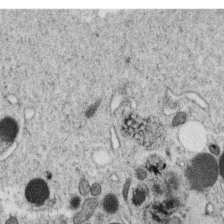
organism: C. elegans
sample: C. elegans oocyte; sperm cells